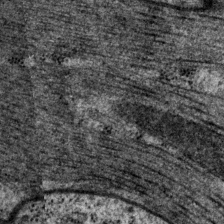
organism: P. pacificus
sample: Pharynx